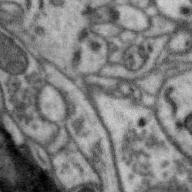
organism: Zebra finch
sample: Brain